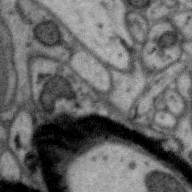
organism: Zebra finch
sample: Brain